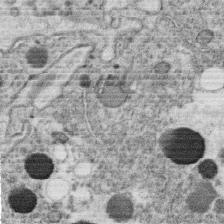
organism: C. elegans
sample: C. elegans oocyte; sperm cells